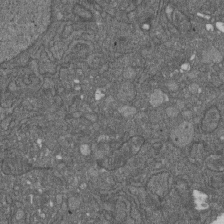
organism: Drosophila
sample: Nephrocyte